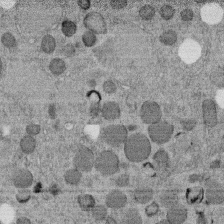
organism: C. elegans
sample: C. elegans embryo early stage